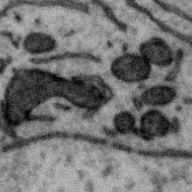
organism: Zebra finch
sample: Brain